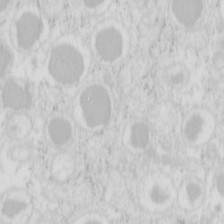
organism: Mouse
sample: Pancreas